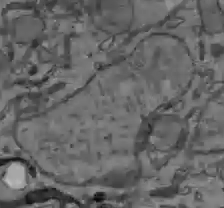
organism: C57BL Mouse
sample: Liver